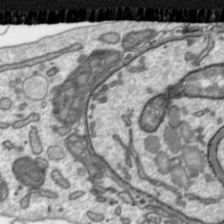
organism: Toxoplasma gondii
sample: Parasites in a vacuole inside a host cell